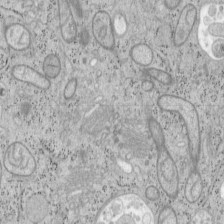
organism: Mouse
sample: OT-I killer T cells with ID8 ovarian cancer cells